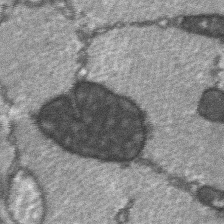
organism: C57BL Mouse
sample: Soleus